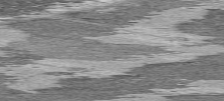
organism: C57BL Mouse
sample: Heart